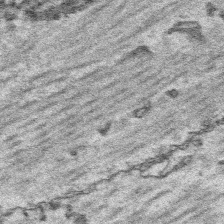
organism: Platynereis dumerilii